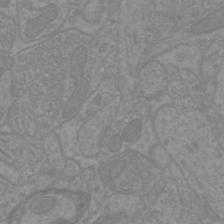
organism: Mouse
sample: Cortical neurons